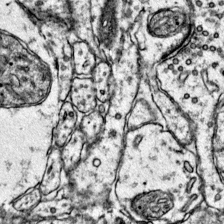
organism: Mouse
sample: Primary visual cortex